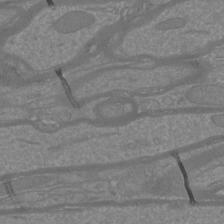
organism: Mouse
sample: Cortical neurons